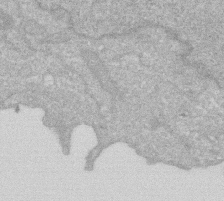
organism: Human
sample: HIV infected U937 cells